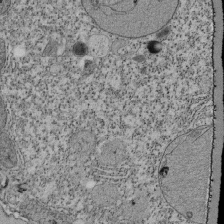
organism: Tetrahymena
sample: Cilia in tetrahymena